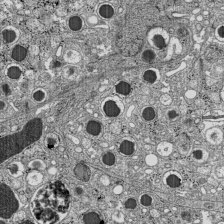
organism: C57BL Mouse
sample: Pancreatic islet